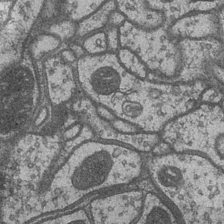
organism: Drosophila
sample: Optic medulla